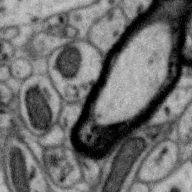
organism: Zebra finch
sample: Brain